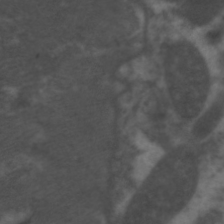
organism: C. elegans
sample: Pharynx